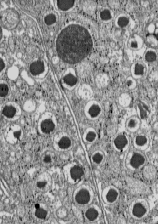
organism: C57BL Mouse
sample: Pancreatic islet